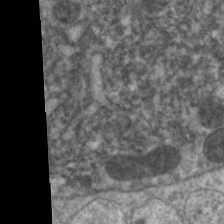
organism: C. elegans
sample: Pharynx